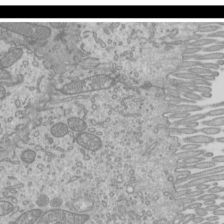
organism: Mouse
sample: Cilia; mouse epididymis